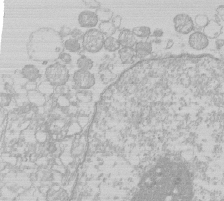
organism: Human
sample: Macrophage cells